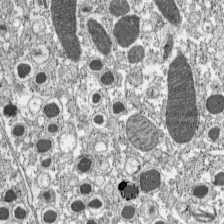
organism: C57BL Mouse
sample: Pancreatic islet